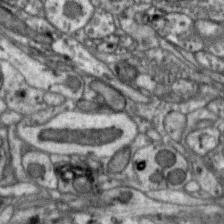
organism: Zebra finch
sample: Brain